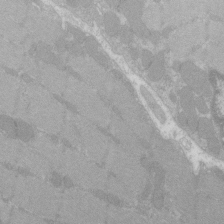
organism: C57BL Mouse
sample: Tibialis anterior muscle cell